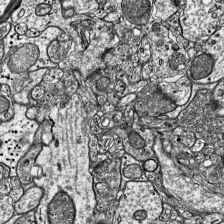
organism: Mouse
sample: Visual Cortex